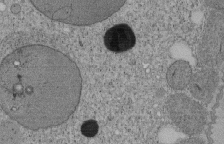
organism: Tetrahymena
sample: Cilia in tetrahymena